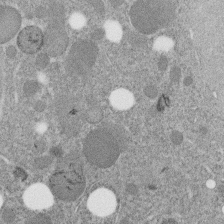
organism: C. elegans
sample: C. elegans embryo early stage